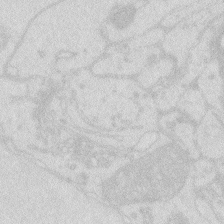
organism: Zebrafish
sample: Macrophage